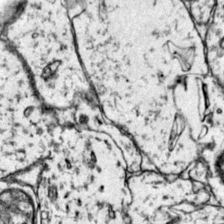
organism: Mouse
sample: Primary visual cortex